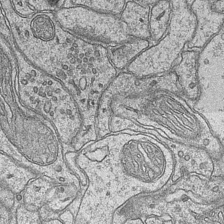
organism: Mouse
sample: CA1 Hippocampus